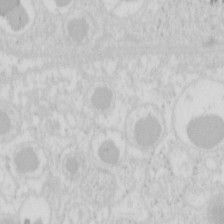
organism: Mouse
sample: Pancreas